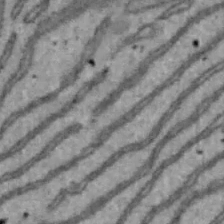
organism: Mouse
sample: Liver